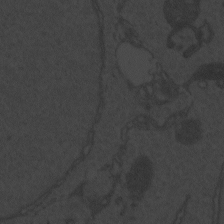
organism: Zebrafish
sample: Macrophage infected with Toxoplasma gondii